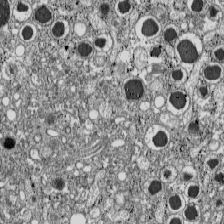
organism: C57BL Mouse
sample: Pancreatic islet